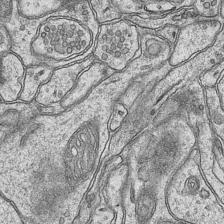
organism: Mouse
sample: CA1 Hippocampus